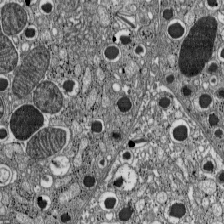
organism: C57BL Mouse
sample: Pancreatic islet